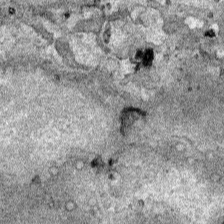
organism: Human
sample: Mitochondria in HCT116 cells